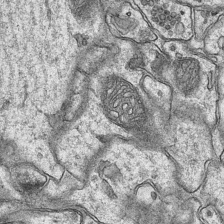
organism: Mouse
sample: CA1 Hippocampus